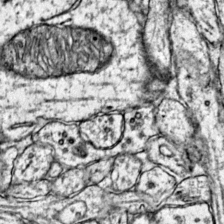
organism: Mouse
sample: Primary visual cortex